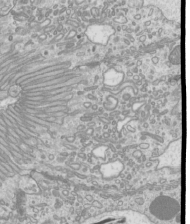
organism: Mouse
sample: Cilia; mouse epididymis